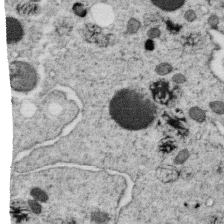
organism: C. elegans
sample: C. elegans oocyte; sperm cells